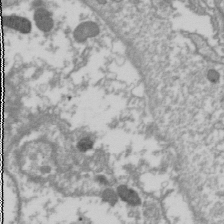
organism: Drosophila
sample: Cell division; meiosis; drosophila spermatocytes